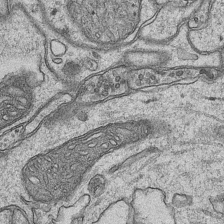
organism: Mouse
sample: CA1 Hippocampus